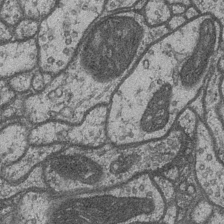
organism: Drosophila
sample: Optic medulla